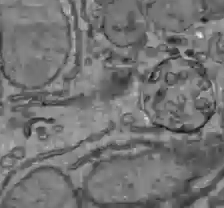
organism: C57BL Mouse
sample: Liver